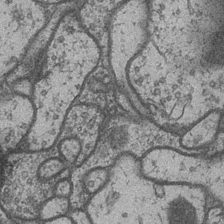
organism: Drosophila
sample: Optic medulla